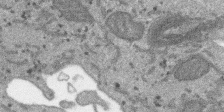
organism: Human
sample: Lung epithelial cells infected with SARS-CoV-2